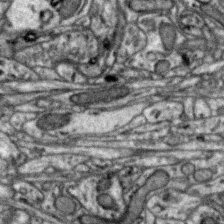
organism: Zebra finch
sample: Brain